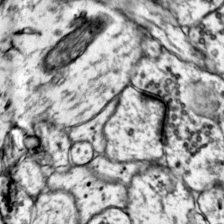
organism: Mouse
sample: Primary visual cortex